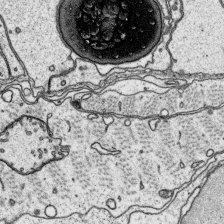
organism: Platynereis dumerilii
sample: Parapodia